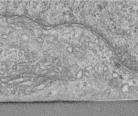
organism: Human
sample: Centriole in RPE cells